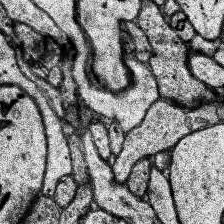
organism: Human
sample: Temporal Lobe